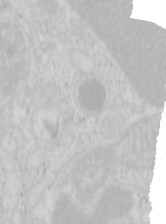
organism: Mouse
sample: Pancreas